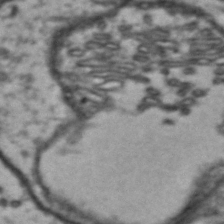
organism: Drosophila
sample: Brain